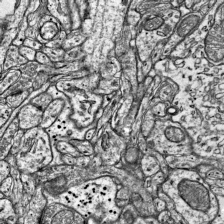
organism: Mouse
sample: Visual Cortex